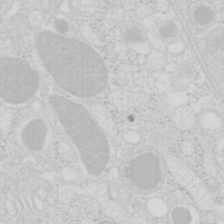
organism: Mouse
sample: Pancreas